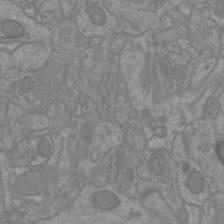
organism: Mouse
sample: Cortical neurons